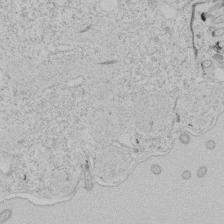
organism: Tetrahymena